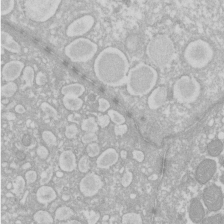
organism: Xenopus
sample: Cilia; centrioles in frog embryo cells